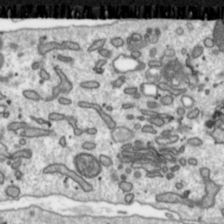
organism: Toxoplasma gondii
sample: Parasites in a vacuole inside a host cell